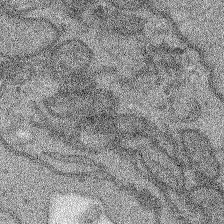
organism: Human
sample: HeLa cells